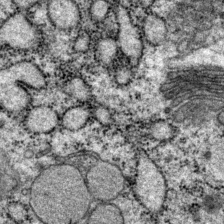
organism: P. pacificus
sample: Pharynx